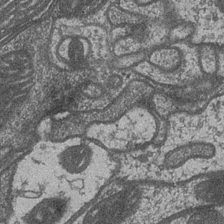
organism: Drosophila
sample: Optic medulla